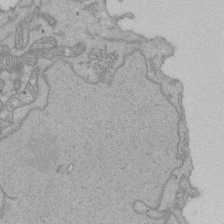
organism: Human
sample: Activated Jurkat CD4+ T cells